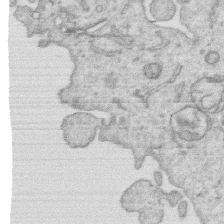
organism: Human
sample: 1205lu cells